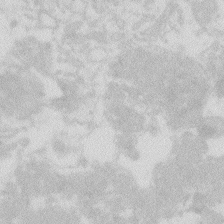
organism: Zebrafish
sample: Macrophage